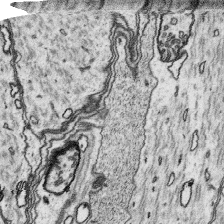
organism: Platynereis dumerilii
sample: Parapodia